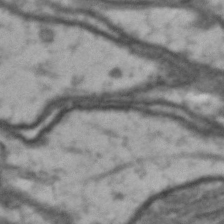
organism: Drosophila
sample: Brain